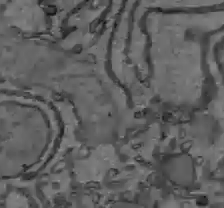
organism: C57BL Mouse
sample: Liver